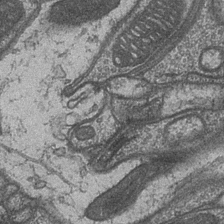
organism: Drosophila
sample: Optic medulla